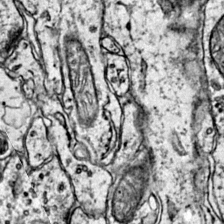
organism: Mouse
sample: Primary visual cortex